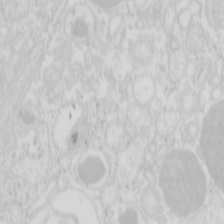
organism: Mouse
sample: Pancreas